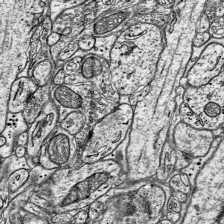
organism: Mouse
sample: Visual Cortex